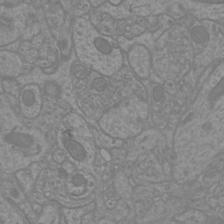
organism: Mouse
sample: Cortical neurons